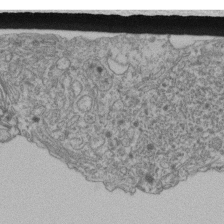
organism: Human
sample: Retinal organoid Rod and Cone cells